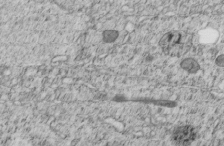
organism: C. elegans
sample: C. elegans embryo early stage